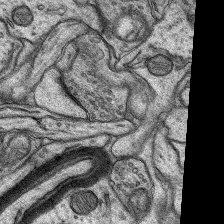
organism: Rat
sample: Hippocampus